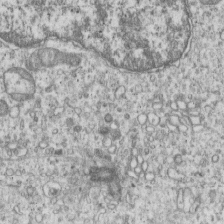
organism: Human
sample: MDA-MB-231 cells